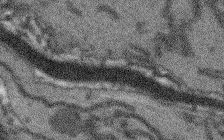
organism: Arabidopsis thaliana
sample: Root tip